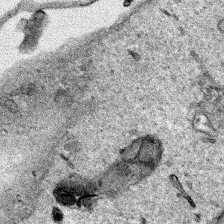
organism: Human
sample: Mitochondria in HCT116 cells